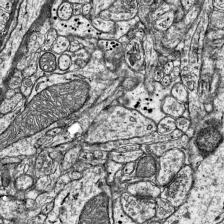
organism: Mouse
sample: Visual Cortex